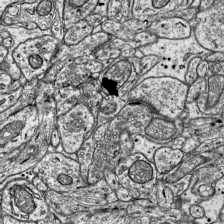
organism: Mouse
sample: Visual Cortex